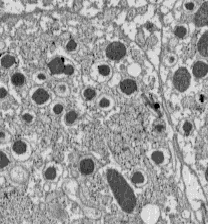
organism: C57BL Mouse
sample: Pancreatic islet